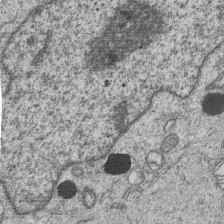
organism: Human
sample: MDA-MB-231 cells